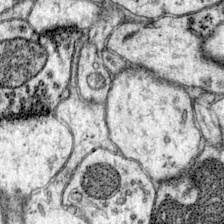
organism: Mouse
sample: Primary visual cortex